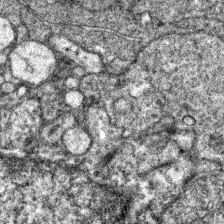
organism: Zebrafish